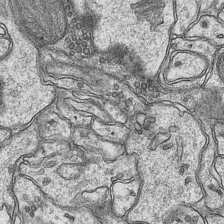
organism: Mouse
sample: CA1 Hippocampus